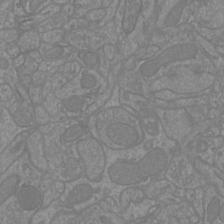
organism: Mouse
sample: Cortical neurons